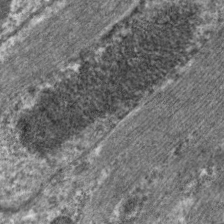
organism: C. elegans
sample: Pharynx